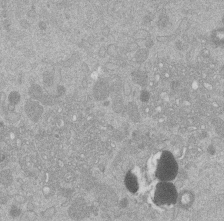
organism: Mouse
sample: Dividing mouse embryo 1 cell stage